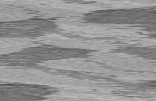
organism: C57BL Mouse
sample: Heart